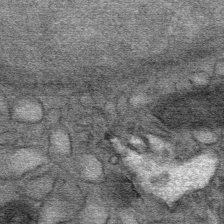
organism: Mouse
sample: Mouse Salivary gland